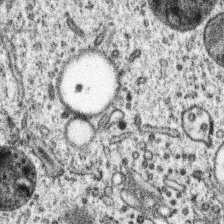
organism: Human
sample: HeLa cells